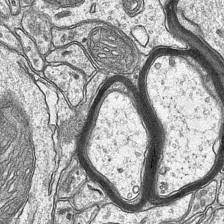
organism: Mouse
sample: CA1 Hippocampus